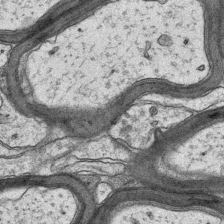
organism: Mouse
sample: CA1 Hippocampus